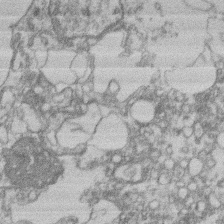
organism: Mouse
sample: T cell stromal cell synapse